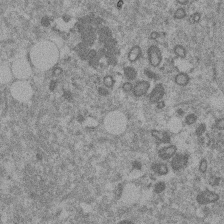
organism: Mouse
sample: Dividing mouse embryo 1 cell stage